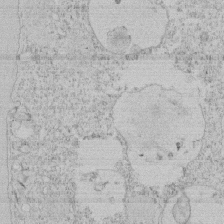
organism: Tetrahymena